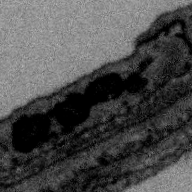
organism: Zebra finch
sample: Brain